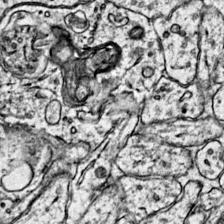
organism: Mouse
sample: Primary visual cortex